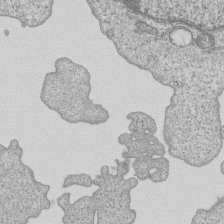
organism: Human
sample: MDA-MB-231 cells